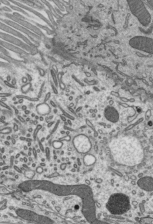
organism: Mouse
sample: Mouse epididymis efferent ductule cilia